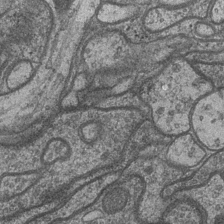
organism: Drosophila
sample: Optic medulla